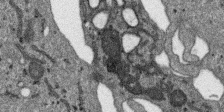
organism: Human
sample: Lung epithelial cells infected with SARS-CoV-2